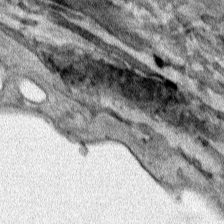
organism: Human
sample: Mitochondria in HCT116 cells